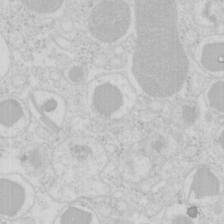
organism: Mouse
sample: Pancreas